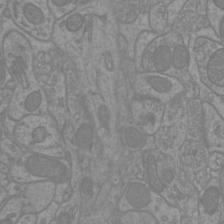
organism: Mouse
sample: Cortical neurons